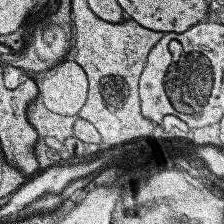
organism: Human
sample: Temporal Lobe